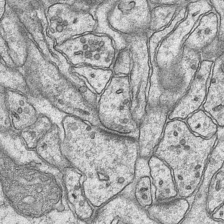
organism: Mouse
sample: CA1 Hippocampus